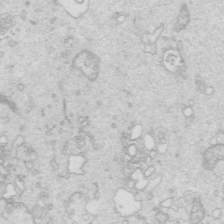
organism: Mouse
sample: Multiciliated cells